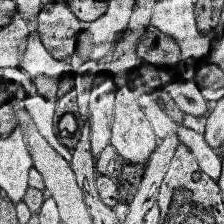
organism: Human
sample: Temporal Lobe